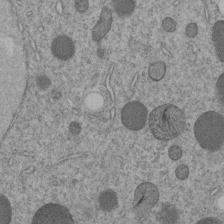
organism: C. elegans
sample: C. elegans embryo early stage